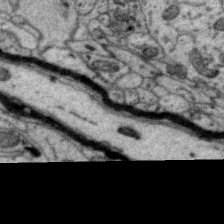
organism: Zebra finch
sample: Brain